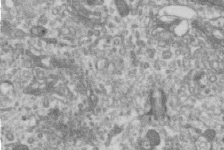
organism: Human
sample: Centriole in RPE cells